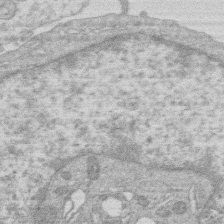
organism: Human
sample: Macrophage cells